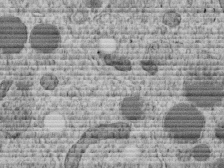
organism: C. elegans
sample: C. elegans embryo early stage